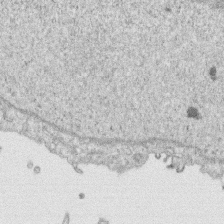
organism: Human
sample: HeLa cell HIV synapse